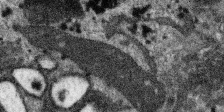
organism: Human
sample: Lung epithelial cells infected with SARS-CoV-2